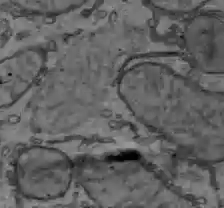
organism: C57BL Mouse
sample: Liver